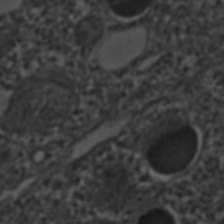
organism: C. elegans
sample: C. elegans embryo